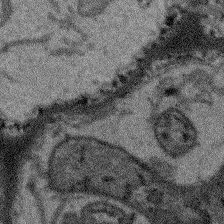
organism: Arabidopsis thaliana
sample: Root tip